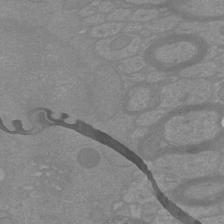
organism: Mouse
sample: Cortical neurons